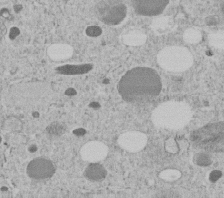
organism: C. elegans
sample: C. elegans embryo early stage